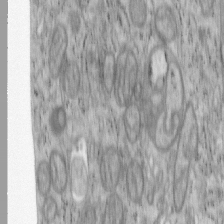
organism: Human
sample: HeLa cells